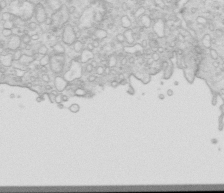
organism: Mouse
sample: Multiciliated cells